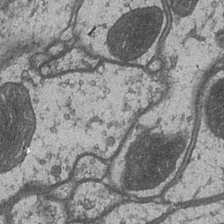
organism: Drosophila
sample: Optic medulla